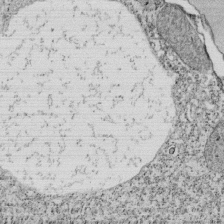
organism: Tetrahymena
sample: Cilia in tetrahymena